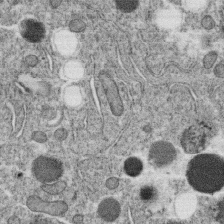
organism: C. elegans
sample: C. elegans oocyte; sperm cells